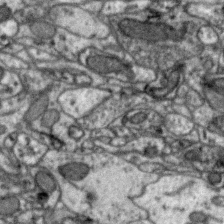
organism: Zebra finch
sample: Brain